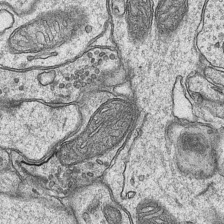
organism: Mouse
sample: CA1 Hippocampus